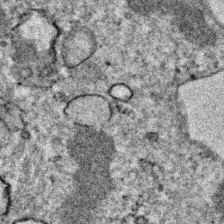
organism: Zebrafish